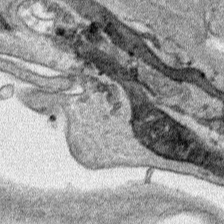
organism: Human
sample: Mitochondria in HCT116 cells